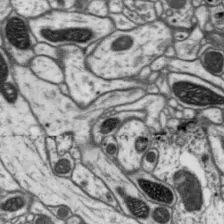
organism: Drosophila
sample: Protocerebral bridge